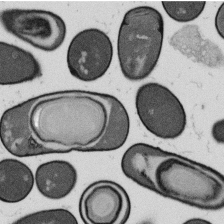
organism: B. subtilis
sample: Bacterial spore